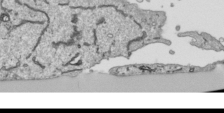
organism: Human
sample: Mitochondria in HCT116 cells